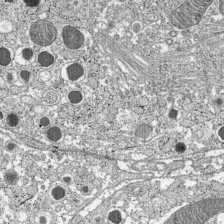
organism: C57BL Mouse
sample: Pancreatic islet